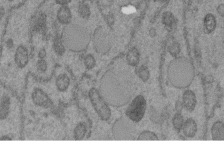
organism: C. elegans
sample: C. elegans embryo early stage